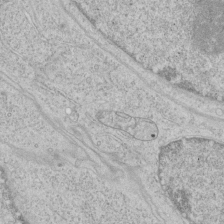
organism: Human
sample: Mitochondria in HCT116 cells